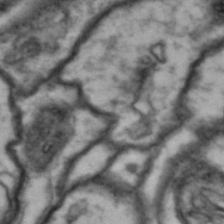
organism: Drosophila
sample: Brain